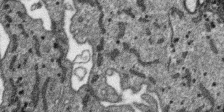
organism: Human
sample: Lung epithelial cells infected with SARS-CoV-2